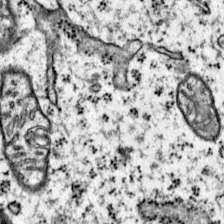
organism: Mouse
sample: Primary visual cortex